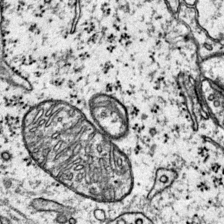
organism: Mouse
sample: Primary visual cortex